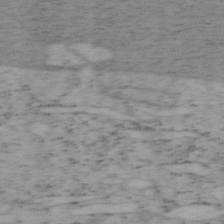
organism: Mouse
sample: OT-I killer T cells with ID8 ovarian cancer cells